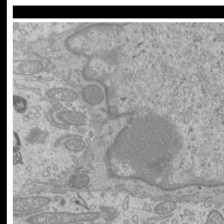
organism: Mouse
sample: Cilia; mouse epididymis